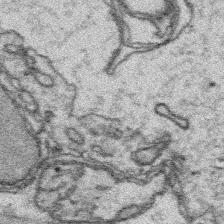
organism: Platynereis dumerilii